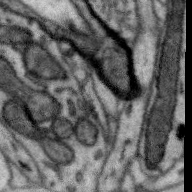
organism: Zebra finch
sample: Brain